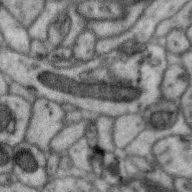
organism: Zebra finch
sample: Brain